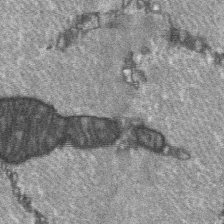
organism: C57BL Mouse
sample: Soleus